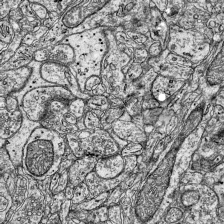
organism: Mouse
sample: Visual Cortex